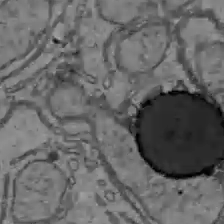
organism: C57BL Mouse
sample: Liver